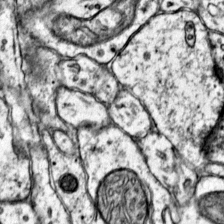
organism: Mouse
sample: Primary visual cortex